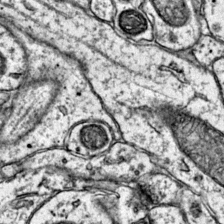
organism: Mouse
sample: Primary visual cortex